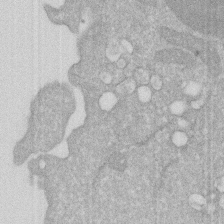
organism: Human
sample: HIV infected U937 cells